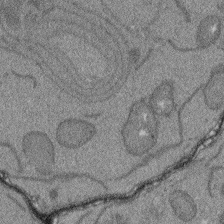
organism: Arabidopsis thaliana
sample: Root tip